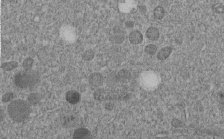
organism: C. elegans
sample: C. elegans embryo early stage